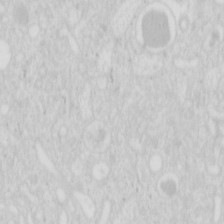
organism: Mouse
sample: Pancreas